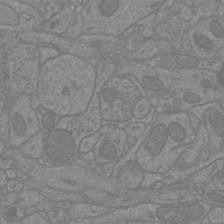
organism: Mouse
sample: Cortical neurons